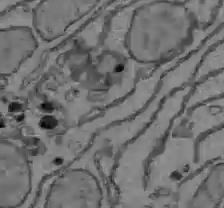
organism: C57BL Mouse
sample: Liver